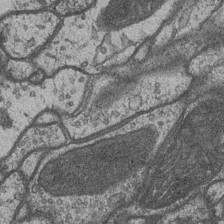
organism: Drosophila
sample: Optic medulla